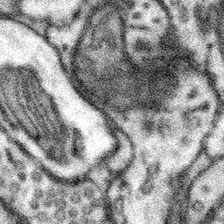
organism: Mouse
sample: Somatosensory cortex neuropil